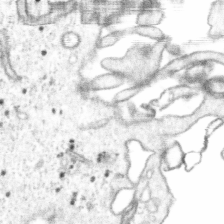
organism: Human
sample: HeLa cells